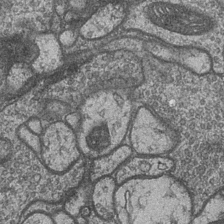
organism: Drosophila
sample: Optic medulla